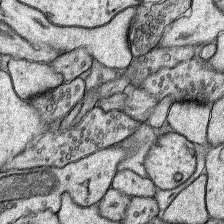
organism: Rat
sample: Hippocampus